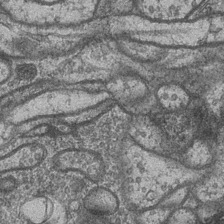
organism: Drosophila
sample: Optic medulla